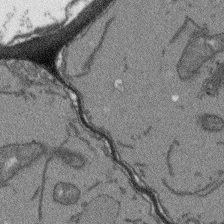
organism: Arabidopsis thaliana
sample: Root tip